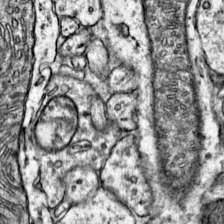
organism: Mouse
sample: Primary visual cortex